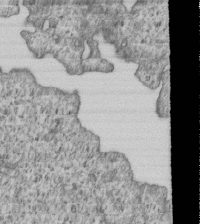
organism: Human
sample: MDA-MB-231 cells